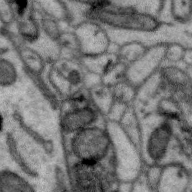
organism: Zebra finch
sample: Brain